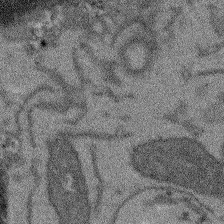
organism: Arabidopsis thaliana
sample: Root tip